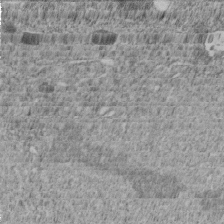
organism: C. elegans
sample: C. elegans embryo early stage